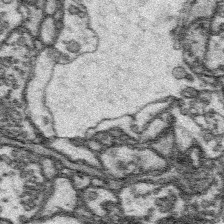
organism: Platynereis dumerilii